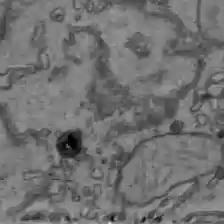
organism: C57BL Mouse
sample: Liver